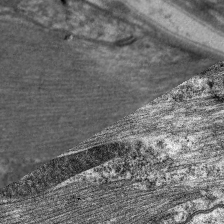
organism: C. elegans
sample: Pharynx